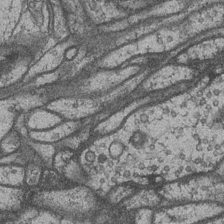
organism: Drosophila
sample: Optic medulla